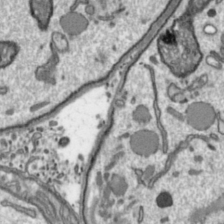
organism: Toxoplasma gondii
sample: Parasites in a vacuole inside a host cell